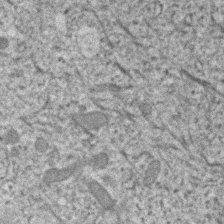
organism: Human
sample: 1205lu cells